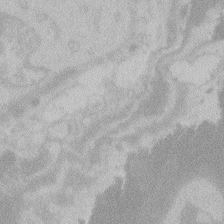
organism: Zebrafish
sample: Macrophage infected with Toxoplasma gondii